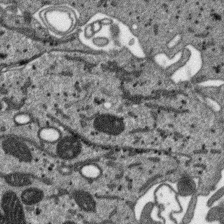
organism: Human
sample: Lung epithelial cells infected with SARS-CoV-2